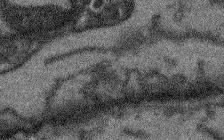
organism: Arabidopsis thaliana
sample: Root tip